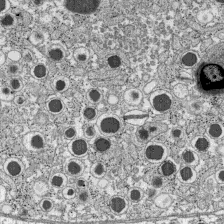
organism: C57BL Mouse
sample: Pancreatic islet